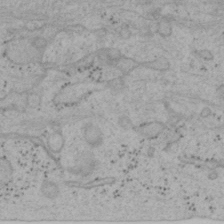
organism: Human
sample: HeLa cells